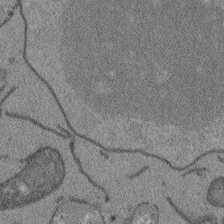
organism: Arabidopsis thaliana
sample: Root tip